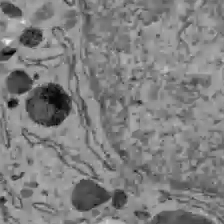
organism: C57BL Mouse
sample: Liver